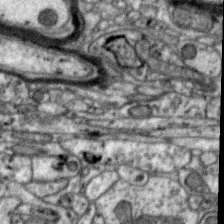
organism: Zebra finch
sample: Brain